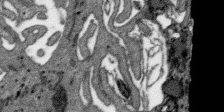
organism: Human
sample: Lung epithelial cells, uninfected (mock) control